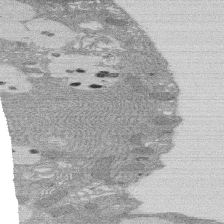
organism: Rat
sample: Salivary granule